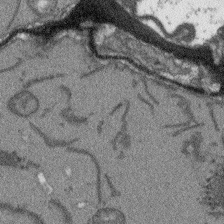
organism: Arabidopsis thaliana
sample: Root tip